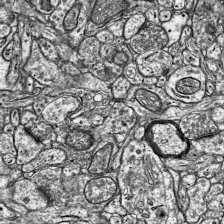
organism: Mouse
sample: Visual Cortex